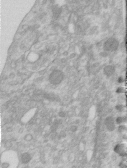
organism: Human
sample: Centriole in RPE cells